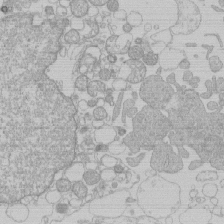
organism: Human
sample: Macrophage cells